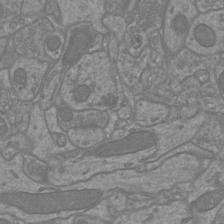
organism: Mouse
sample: Cortical neurons